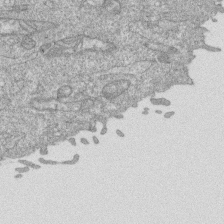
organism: Human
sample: HeLa cell HIV synapse